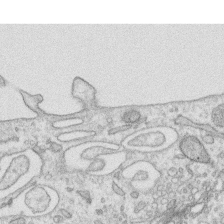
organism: Human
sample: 1205lu cells